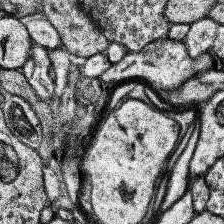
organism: Human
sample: Temporal Lobe